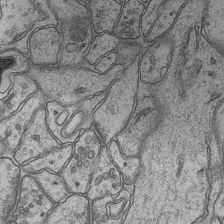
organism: Mouse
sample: CA1 Hippocampus